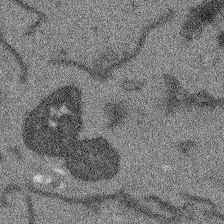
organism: Arabidopsis thaliana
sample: Root tip